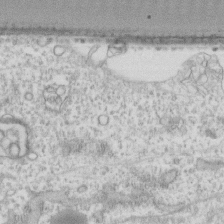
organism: Human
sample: Fibroblast cells